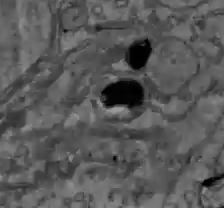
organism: C57BL Mouse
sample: Liver